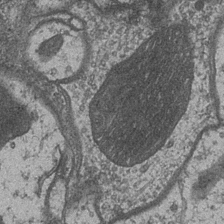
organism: Drosophila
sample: Optic medulla